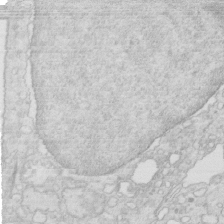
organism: Mouse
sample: Multiciliated cells